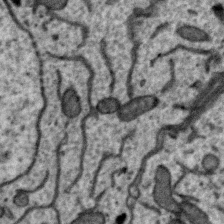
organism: Zebra finch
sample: Brain